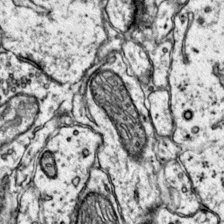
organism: Mouse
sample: Primary visual cortex